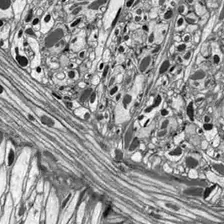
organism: Drosophila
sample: Optic lobe